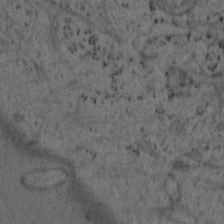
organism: Human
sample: HeLa cells